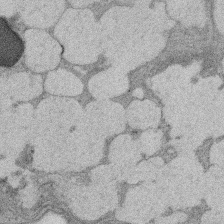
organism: Rat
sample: Salivary granule